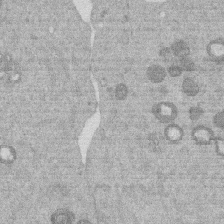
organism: Mouse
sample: Dividing mouse embryo 1 cell stage